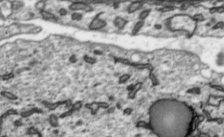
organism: Toxoplasma gondii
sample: Parasites in a vacuole inside a host cell